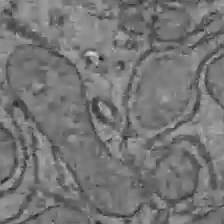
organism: C57BL Mouse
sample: Liver